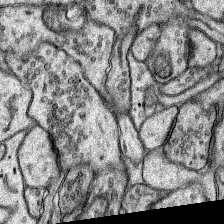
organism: Rat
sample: Hippocampus